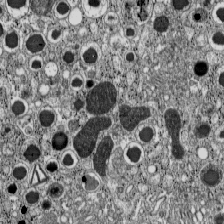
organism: C57BL Mouse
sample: Pancreatic islet